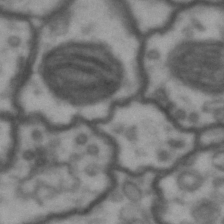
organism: Drosophila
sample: Brain